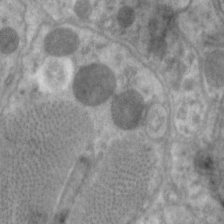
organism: C. elegans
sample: Pharynx